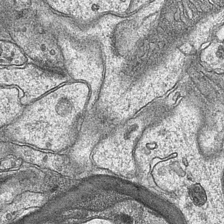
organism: Mouse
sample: CA1 Hippocampus